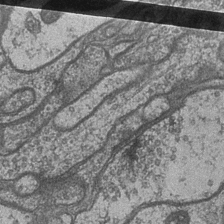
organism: Drosophila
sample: Optic medulla